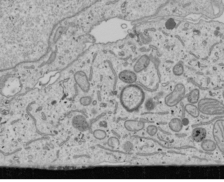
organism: Human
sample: Mitochondria in U2OS cells